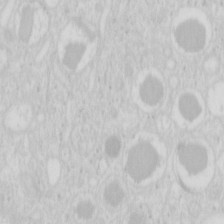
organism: Mouse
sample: Pancreas